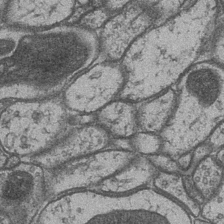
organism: Drosophila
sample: Optic medulla